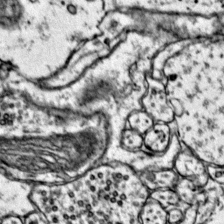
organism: Mouse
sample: Primary visual cortex